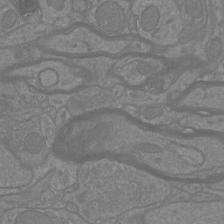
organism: Mouse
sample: Cortical neurons